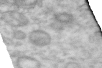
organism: Human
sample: Centriole in RPE cells